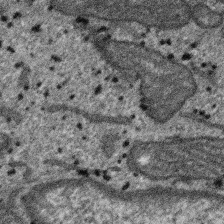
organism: Human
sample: Lung epithelial cells infected with SARS-CoV-2